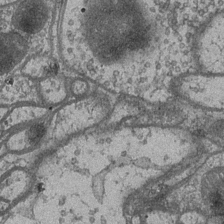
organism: Drosophila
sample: Optic medulla